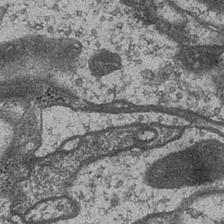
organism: Drosophila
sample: Optic medulla